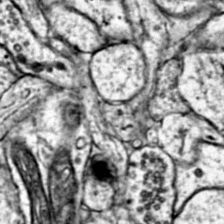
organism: Mouse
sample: Primary visual cortex